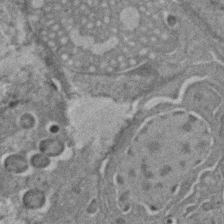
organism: C. elegans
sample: C. elegans embryo